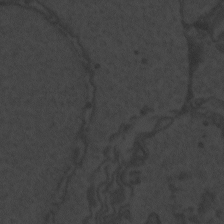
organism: Zebrafish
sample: Macrophage infected with Toxoplasma gondii